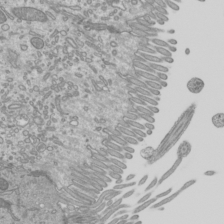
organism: Mouse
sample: Cilia; mouse epididymis